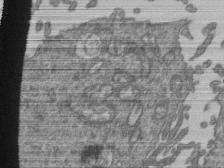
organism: Human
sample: Retinal organoid Rod and Cone cells